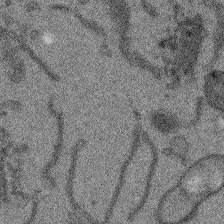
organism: Arabidopsis thaliana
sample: Root tip